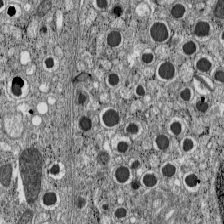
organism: C57BL Mouse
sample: Pancreatic islet